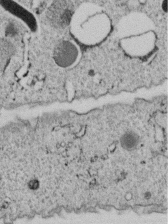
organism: C. elegans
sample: C. elegans embryo early stage